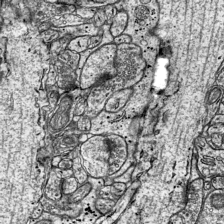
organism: Mouse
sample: Visual Cortex